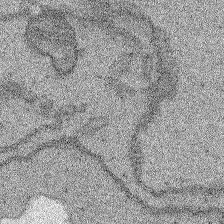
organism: Human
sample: HeLa cells